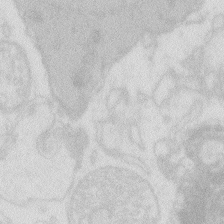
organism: Zebrafish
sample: Macrophage